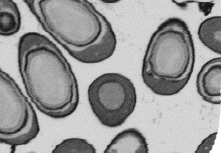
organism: B. subtilis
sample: Bacterial spore